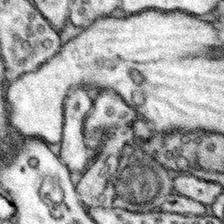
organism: Mouse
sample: Somatosensory cortex neuropil